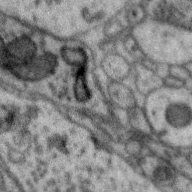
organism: Zebra finch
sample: Brain